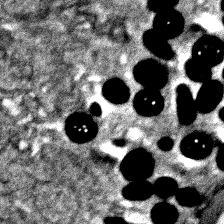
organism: Zebrafish